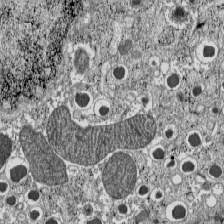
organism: C57BL Mouse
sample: Pancreatic islet